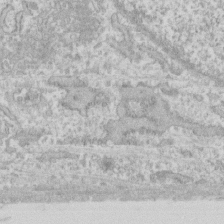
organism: Human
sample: Fibroblast cells